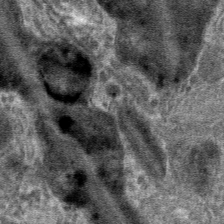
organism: Mouse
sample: Mouse hepatocytes